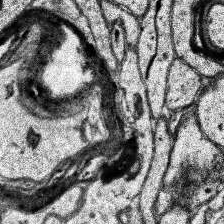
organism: Human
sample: Temporal Lobe